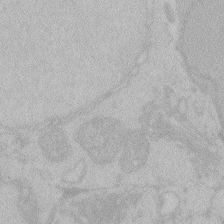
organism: Zebrafish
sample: Macrophage infected with Toxoplasma gondii